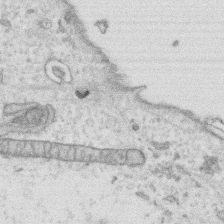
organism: Human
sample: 1205lu cells